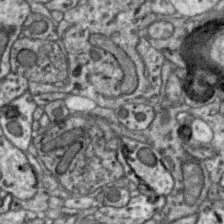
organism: Zebra finch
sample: Brain